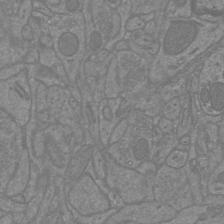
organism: Mouse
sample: Cortical neurons